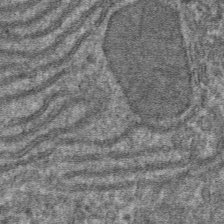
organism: Mouse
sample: Mouse hepatocytes